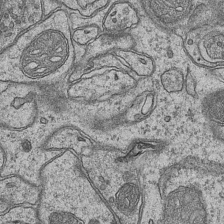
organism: Mouse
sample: CA1 Hippocampus